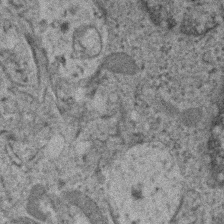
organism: Human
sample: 1205lu cells